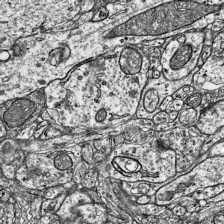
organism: Mouse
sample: Visual Cortex